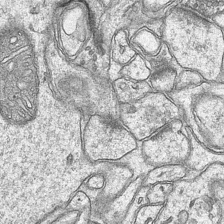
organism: Mouse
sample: CA1 Hippocampus